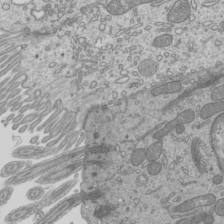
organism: Mouse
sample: Cilia; mouse epididymis